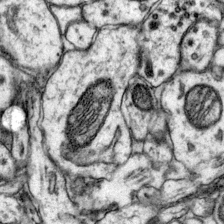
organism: Mouse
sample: Primary visual cortex